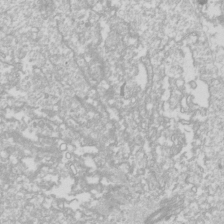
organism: Drosophila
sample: Cell division; meiosis; drosophila spermatocytes